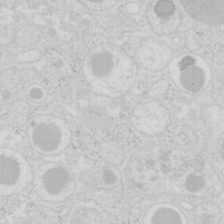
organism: Mouse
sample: Pancreas